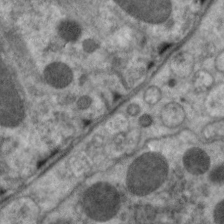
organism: C. elegans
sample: Pharynx